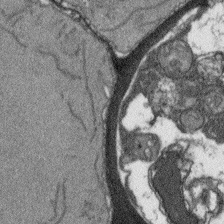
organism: Arabidopsis thaliana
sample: Root tip